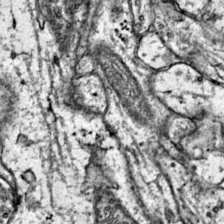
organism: Mouse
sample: Primary visual cortex